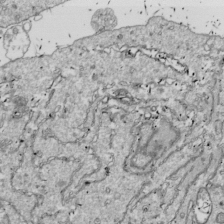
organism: Drosophila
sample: Cell division; meiosis; drosophila spermatocytes